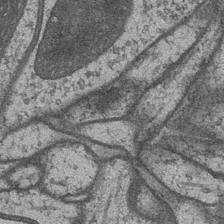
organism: Drosophila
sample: Optic medulla